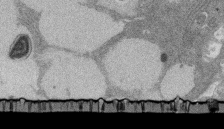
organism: Rat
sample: Salivary granule